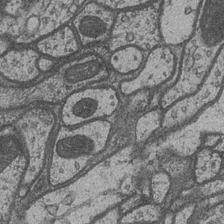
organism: Drosophila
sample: Optic medulla